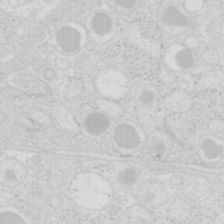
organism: Mouse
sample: Pancreas